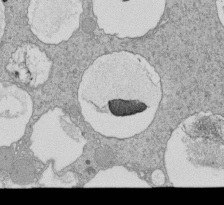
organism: Tetrahymena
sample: Cilia in tetrahymena